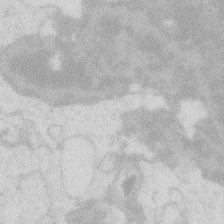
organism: Zebrafish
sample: Macrophage